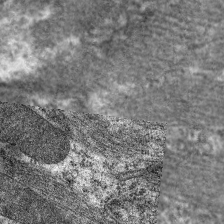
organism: C. elegans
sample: Pharynx